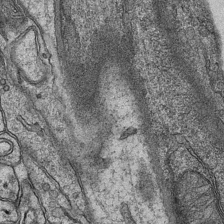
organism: Mouse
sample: CA1 Hippocampus